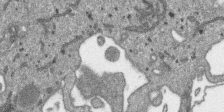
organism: Human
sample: Lung epithelial cells infected with SARS-CoV-2